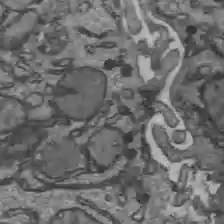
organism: C57BL Mouse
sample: Liver